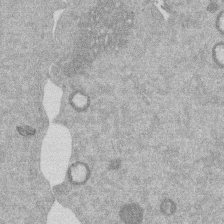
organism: Mouse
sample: Dividing mouse embryo 1 cell stage